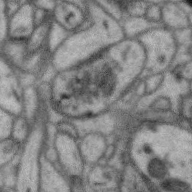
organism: Zebra finch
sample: Brain